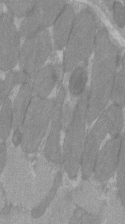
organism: C57BL Mouse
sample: Tibialis anterior muscle cell